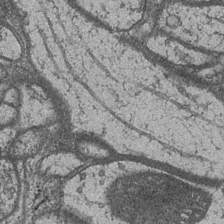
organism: Drosophila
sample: Optic medulla